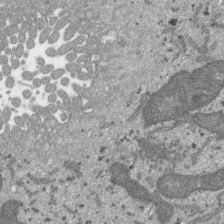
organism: Human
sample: Lung epithelial cells infected with SARS-CoV-2